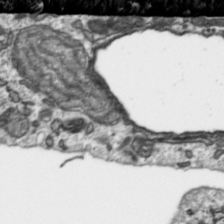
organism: Toxoplasma gondii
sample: Parasites in a vacuole inside a host cell